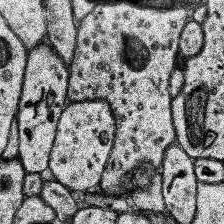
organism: Human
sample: Temporal Lobe